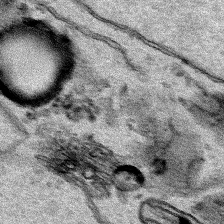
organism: Human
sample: Mitochondria in HCT116 cells